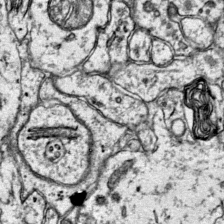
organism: Mouse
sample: Primary visual cortex